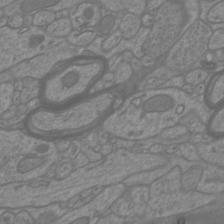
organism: Mouse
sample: Cortical neurons